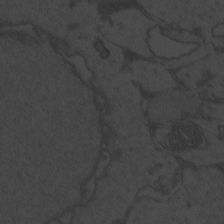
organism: Zebrafish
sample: Macrophage infected with Toxoplasma gondii